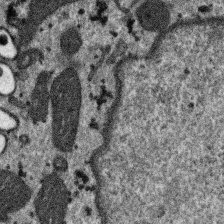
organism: Human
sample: Lung epithelial cells infected with SARS-CoV-2